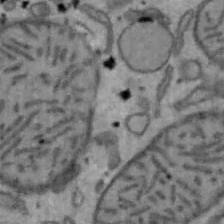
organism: Mouse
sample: Liver